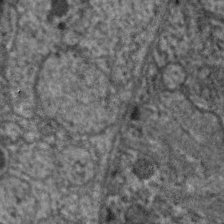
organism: C. elegans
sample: Pharynx